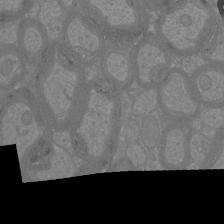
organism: Mouse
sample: Cortical neurons